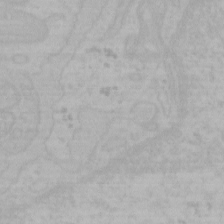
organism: Mouse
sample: Choroid plexus